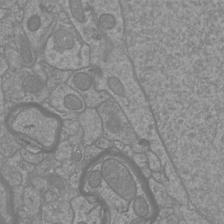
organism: Mouse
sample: Cortical neurons